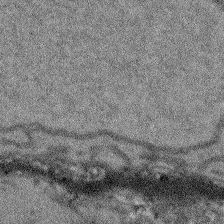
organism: Arabidopsis thaliana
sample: Root tip